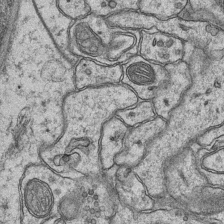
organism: Mouse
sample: CA1 Hippocampus